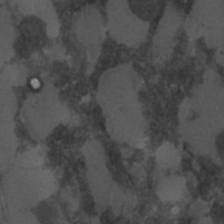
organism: C. elegans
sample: C. elegans embryo